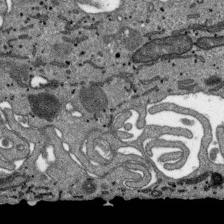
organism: Human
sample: Lung epithelial cells, uninfected (mock) control